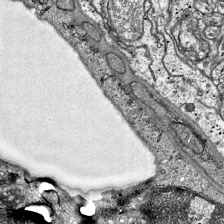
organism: Mouse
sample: Visual Cortex